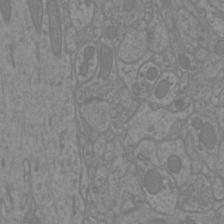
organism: Mouse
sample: Cortical neurons